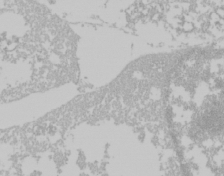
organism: Mouse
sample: Cancer cell death in ED-1 cells